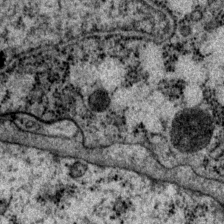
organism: P. pacificus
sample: Pharynx